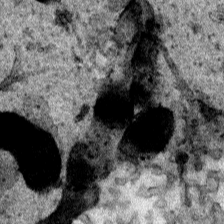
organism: Human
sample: Mitochondria in HCT116 cells